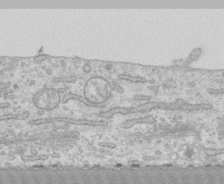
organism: Human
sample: CRL-1474